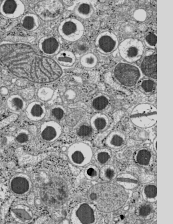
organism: C57BL Mouse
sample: Pancreatic islet